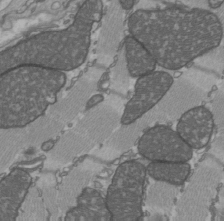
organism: C57BL Mouse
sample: Heart